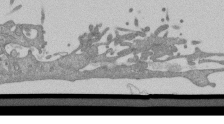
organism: Mouse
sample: ED-1 cell nuclei; centrioles